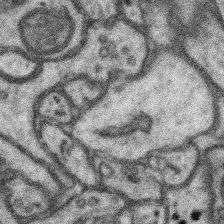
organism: Mouse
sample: Somatosensory cortex neuropil